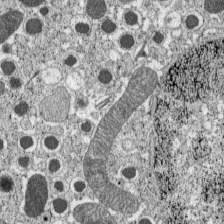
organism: C57BL Mouse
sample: Pancreatic islet